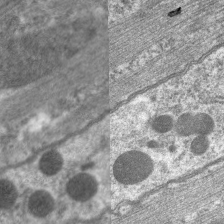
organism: C. elegans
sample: Pharynx